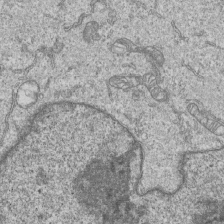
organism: Human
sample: MDA-MB-231 cells